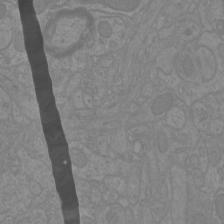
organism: Mouse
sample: Cortical neurons